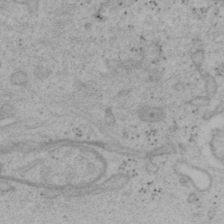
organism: Human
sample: HeLa cells